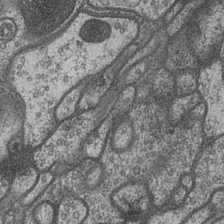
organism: Drosophila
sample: Optic medulla